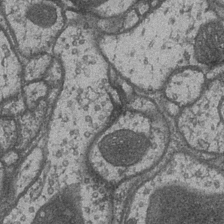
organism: Drosophila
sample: Optic medulla